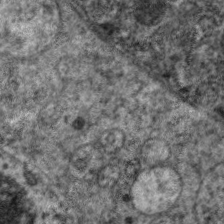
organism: C. elegans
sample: Pharynx